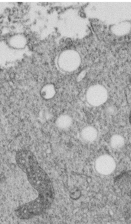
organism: C. elegans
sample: C. elegans embryo early stage